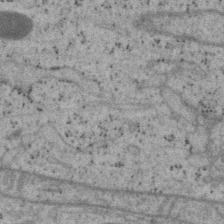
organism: Human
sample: HeLa cells